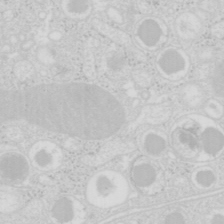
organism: Mouse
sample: Pancreas